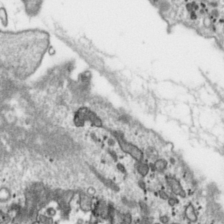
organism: Toxoplasma gondii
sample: Parasites in a vacuole inside a host cell